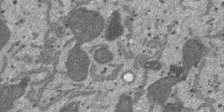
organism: Human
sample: Lung epithelial cells infected with SARS-CoV-2